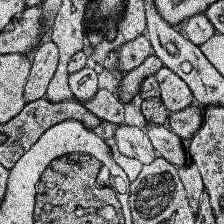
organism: Human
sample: Temporal Lobe